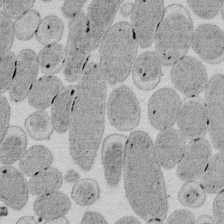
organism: E. coli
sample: Bacterial nucleoid